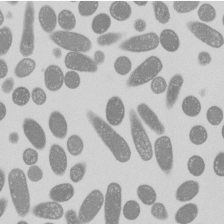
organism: E. coli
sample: Bacterial nucleoid